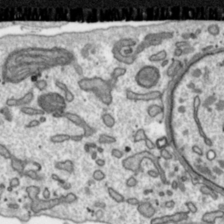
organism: Toxoplasma gondii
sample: Parasites in a vacuole inside a host cell